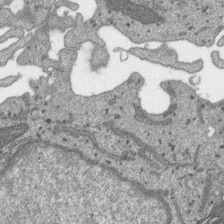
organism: Human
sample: Lung epithelial cells infected with SARS-CoV-2